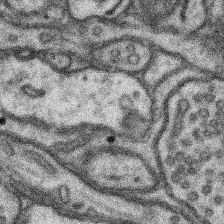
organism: Mouse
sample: Somatosensory cortex neuropil